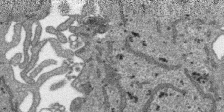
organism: Human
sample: Lung epithelial cells infected with SARS-CoV-2